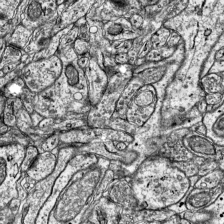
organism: Mouse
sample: Visual Cortex